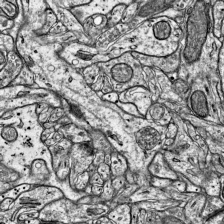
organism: Mouse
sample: Visual Cortex